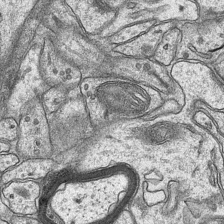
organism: Mouse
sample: CA1 Hippocampus